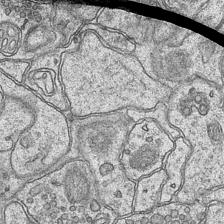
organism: Mouse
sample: CA1 Hippocampus